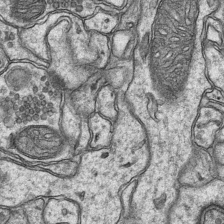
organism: Mouse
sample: CA1 Hippocampus